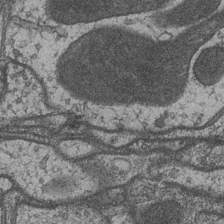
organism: Drosophila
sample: Optic medulla